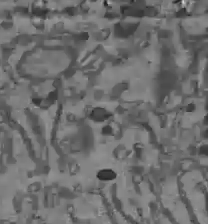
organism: C57BL Mouse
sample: Liver